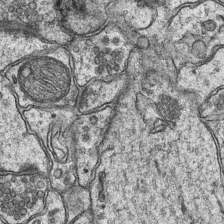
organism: Mouse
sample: CA1 Hippocampus